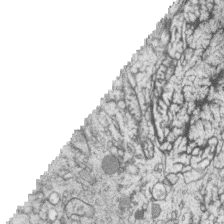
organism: Zebrafish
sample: synaptic ribbons in rod cells and cone cells